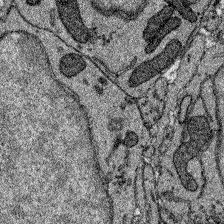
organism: Zebrafish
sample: Larval olfactory bulb